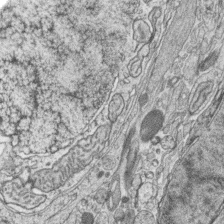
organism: Zebrafish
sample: synaptic ribbons in rod cells and cone cells